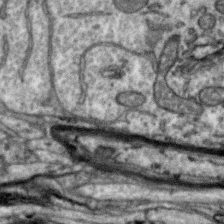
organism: Zebra finch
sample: Brain